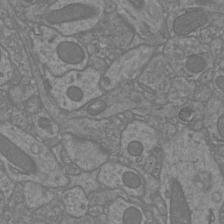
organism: Mouse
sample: Cortical neurons